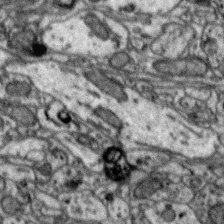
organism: Zebra finch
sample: Brain